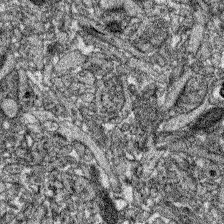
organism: Zebrafish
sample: Larval olfactory bulb